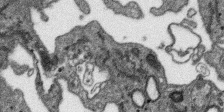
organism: Human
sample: Lung epithelial cells infected with SARS-CoV-2